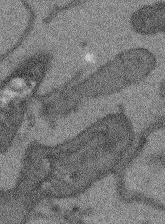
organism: Arabidopsis thaliana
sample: Root tip